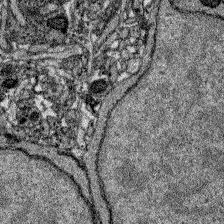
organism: Zebrafish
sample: Larval olfactory bulb